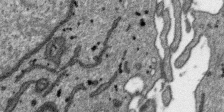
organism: Human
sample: Lung epithelial cells, uninfected (mock) control